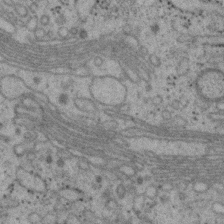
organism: Human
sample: HeLa cells